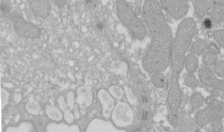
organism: Xenopus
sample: Cilia; centrioles in frog embryo cells